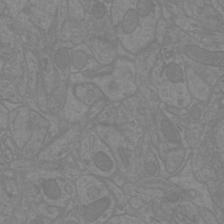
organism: Mouse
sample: Cortical neurons